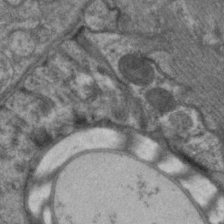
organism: C. elegans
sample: Pharynx